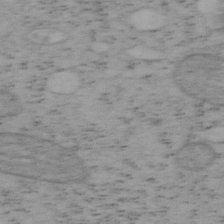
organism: Mouse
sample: OT-I killer T cells with ID8 ovarian cancer cells